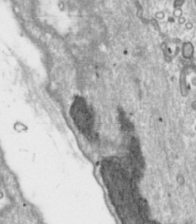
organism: Toxoplasma gondii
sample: Parasites in a vacuole inside a host cell